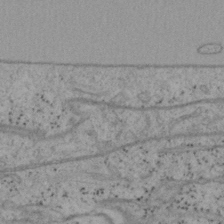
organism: Human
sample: HeLa cells